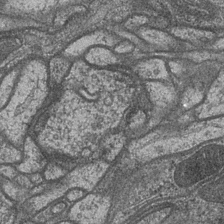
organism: Drosophila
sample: Optic medulla